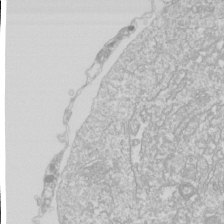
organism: Drosophila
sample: Cell division; meiosis; drosophila spermatocytes